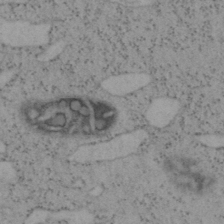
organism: Mouse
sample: OT-I killer T cells with ID8 ovarian cancer cells